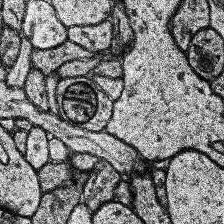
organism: Human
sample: Temporal Lobe